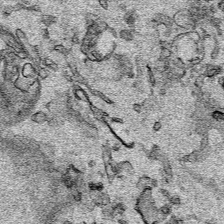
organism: Human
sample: Mitochondria in HCT116 cells